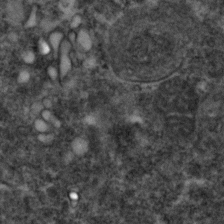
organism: Zebrafish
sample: Zebrafish embryo